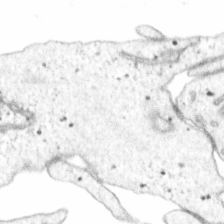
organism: Human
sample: HeLa cells